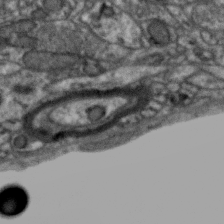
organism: Zebra finch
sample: Brain